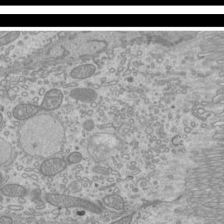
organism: Mouse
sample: Cilia; mouse epididymis